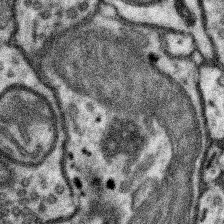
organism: Mouse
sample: Somatosensory cortex neuropil